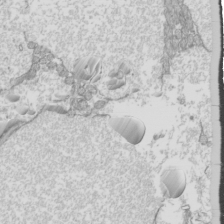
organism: Mouse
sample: Cilia; mouse epididymis